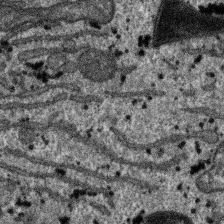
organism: Human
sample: Lung epithelial cells infected with SARS-CoV-2